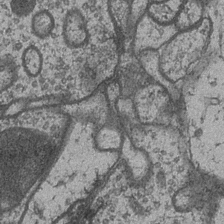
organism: Drosophila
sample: Optic medulla